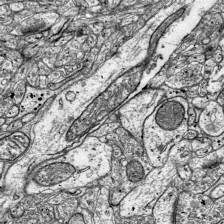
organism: Mouse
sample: Visual Cortex